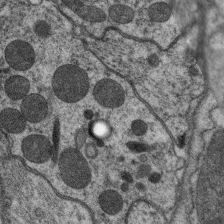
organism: C. elegans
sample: Pharynx